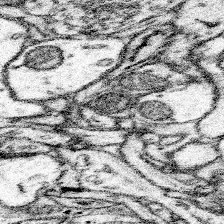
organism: Mouse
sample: Somatosensory cortex neuropil